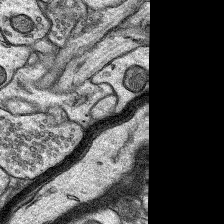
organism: Rat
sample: Hippocampus